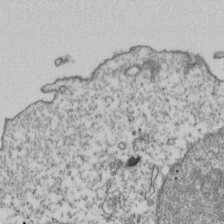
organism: Human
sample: Activated Jurkat CD4+ T cells